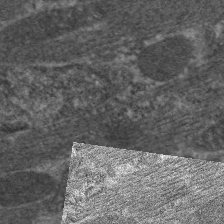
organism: C. elegans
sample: Pharynx